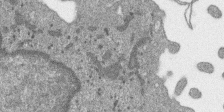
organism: Human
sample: Lung epithelial cells infected with SARS-CoV-2